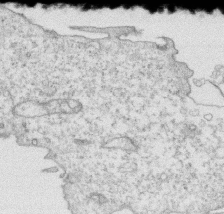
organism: Human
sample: HeLa cell HIV synapse